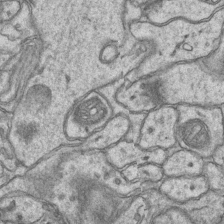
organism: Mouse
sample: CA1 Hippocampus